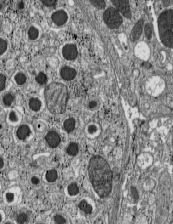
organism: C57BL Mouse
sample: Pancreatic islet